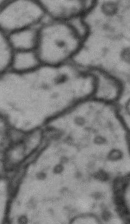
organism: Drosophila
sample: Brain